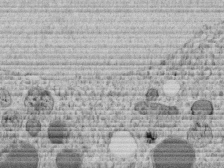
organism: C. elegans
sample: C. elegans embryo early stage